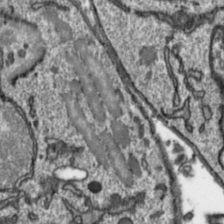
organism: Toxoplasma gondii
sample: Parasites in a vacuole inside a host cell